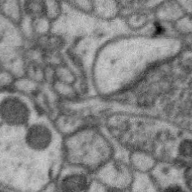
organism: Zebra finch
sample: Brain